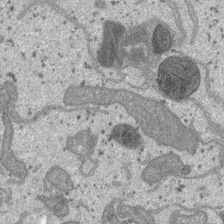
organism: Human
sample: Lung epithelial cells infected with SARS-CoV-2